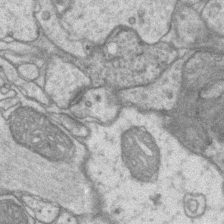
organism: Mouse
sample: CA1 Hippocampus